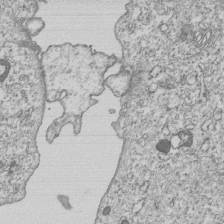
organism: Human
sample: MDA-MB-231 cells